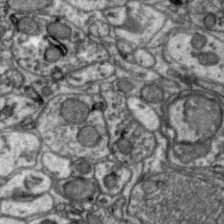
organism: Zebra finch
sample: Brain